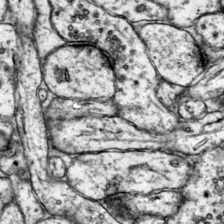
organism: Mouse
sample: Primary visual cortex